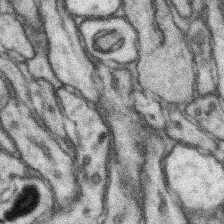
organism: Mouse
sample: Somatosensory cortex neuropil